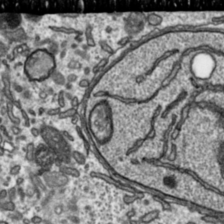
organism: Toxoplasma gondii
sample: Parasites in a vacuole inside a host cell